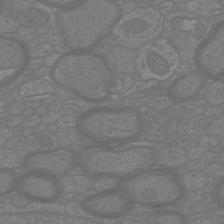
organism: Mouse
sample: Cortical neurons